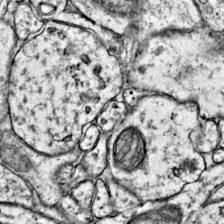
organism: Mouse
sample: Primary visual cortex